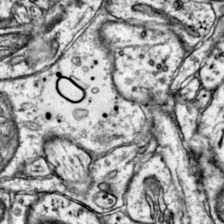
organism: Mouse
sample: Primary visual cortex